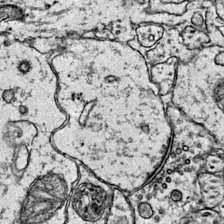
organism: Mouse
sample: Primary visual cortex